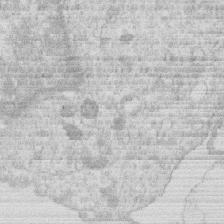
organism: Human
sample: Macrophage cells